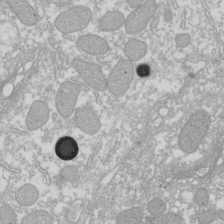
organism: Xenopus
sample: Cilia; centrioles in frog embryo cells